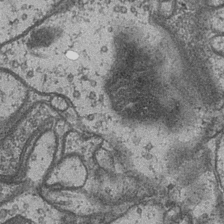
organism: Drosophila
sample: Optic medulla